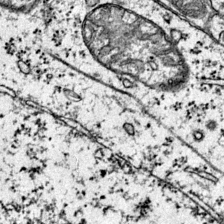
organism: Mouse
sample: Primary visual cortex